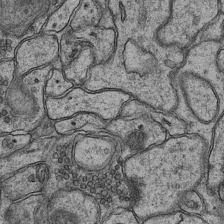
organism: Mouse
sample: CA1 Hippocampus